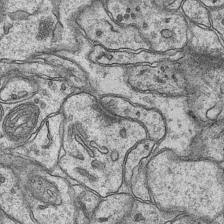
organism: Mouse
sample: CA1 Hippocampus